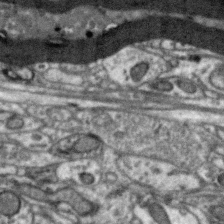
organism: Zebra finch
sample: Brain